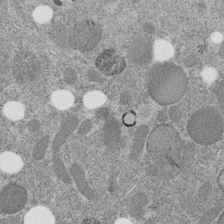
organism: C. elegans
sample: C. elegans embryo early stage